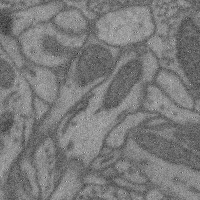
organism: Mouse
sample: Cerebral cortex